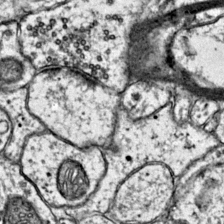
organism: Mouse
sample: Primary visual cortex